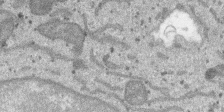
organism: Human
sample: Lung epithelial cells infected with SARS-CoV-2